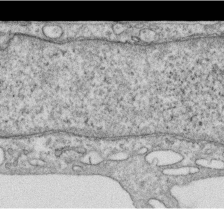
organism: Human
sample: Centriole in RPE cells